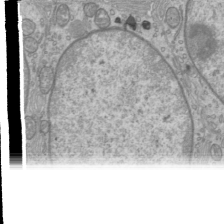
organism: Mouse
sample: Cilia; mouse epididymis